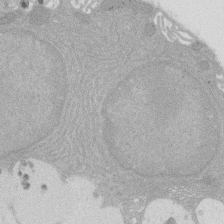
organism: Rat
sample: Salivary granule